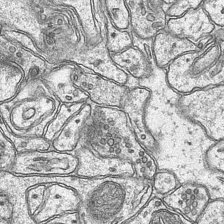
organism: Mouse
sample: CA1 Hippocampus